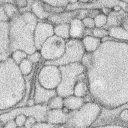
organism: Rabbit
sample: Retina